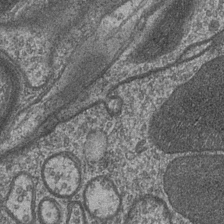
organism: Drosophila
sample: Optic medulla